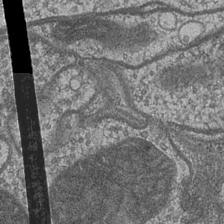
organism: Drosophila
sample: Optic medulla